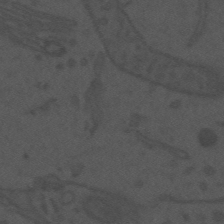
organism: Mouse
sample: Suprachiasmatic nucleus